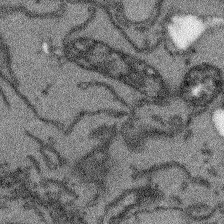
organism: Arabidopsis thaliana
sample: Root tip